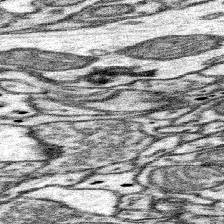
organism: Mouse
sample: Somatosensory cortex neuropil